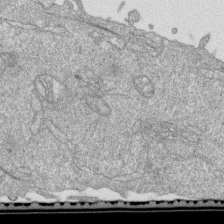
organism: Human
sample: HeLa cell HIV synapse